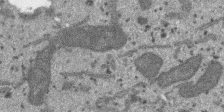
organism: Human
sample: Lung epithelial cells infected with SARS-CoV-2